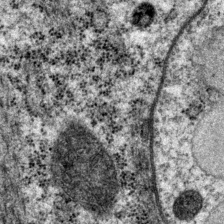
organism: P. pacificus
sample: Pharynx